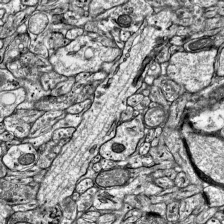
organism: Mouse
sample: Visual Cortex